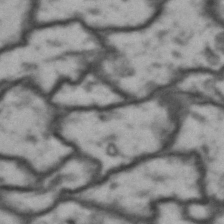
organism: Drosophila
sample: Brain